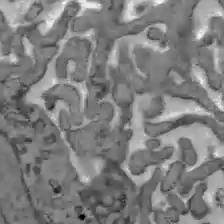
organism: C57BL Mouse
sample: Liver